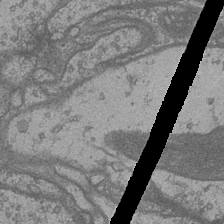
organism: Drosophila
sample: Optic medulla